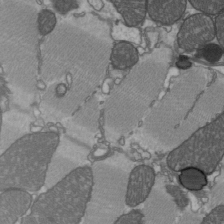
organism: C57BL Mouse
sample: Heart